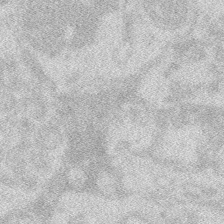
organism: Zebrafish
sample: Macrophage